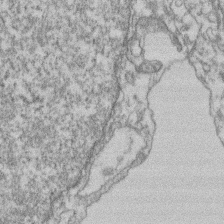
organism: Mouse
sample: T cell stromal cell synapse